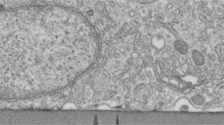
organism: Human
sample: Centriole in fibroblast cells